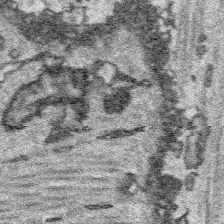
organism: Platynereis dumerilii